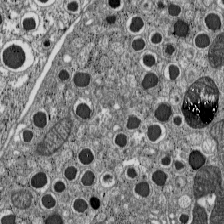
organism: C57BL Mouse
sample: Pancreatic islet